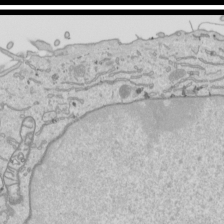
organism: Human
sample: Mitochondria in HCT116 cells